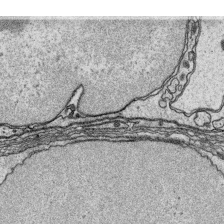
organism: Platynereis dumerilii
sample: Parapodia